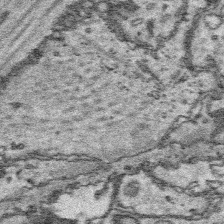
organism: Platynereis dumerilii